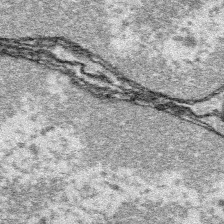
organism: Platynereis dumerilii